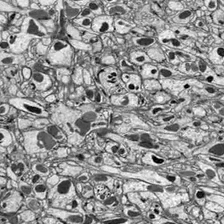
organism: Drosophila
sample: Optic lobe